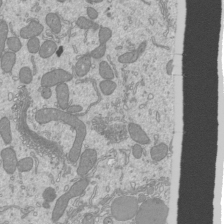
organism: Mouse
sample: Cilia; mouse epididymis